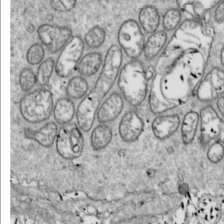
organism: Drosophila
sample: Cell division; meiosis; drosophila spermatocytes